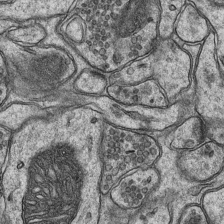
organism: Mouse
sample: CA1 Hippocampus